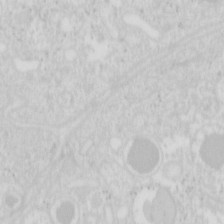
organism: Mouse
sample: Pancreas